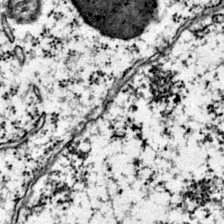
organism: Mouse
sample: Primary visual cortex